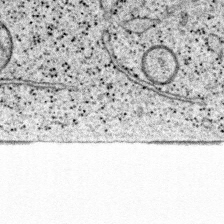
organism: Human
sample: HeLa cells